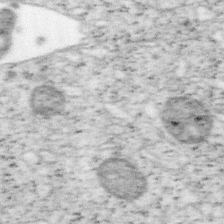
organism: Mouse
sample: OT-I killer T cells with ID8 ovarian cancer cells